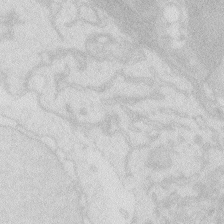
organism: Zebrafish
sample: Macrophage